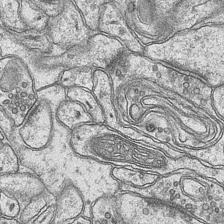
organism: Mouse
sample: CA1 Hippocampus